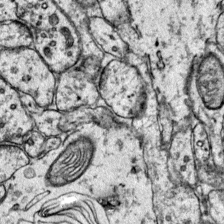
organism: Mouse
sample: Primary visual cortex